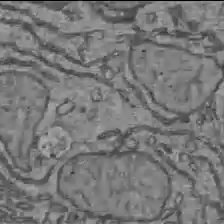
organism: C57BL Mouse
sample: Liver